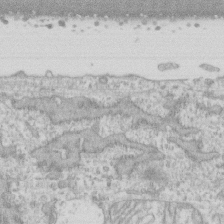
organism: Human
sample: CRL-1474